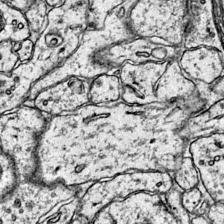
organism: Mouse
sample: Primary visual cortex